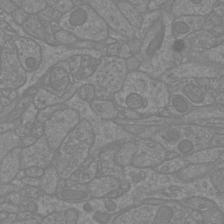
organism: Mouse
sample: Cortical neurons